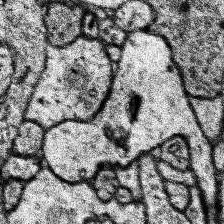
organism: Human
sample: Temporal Lobe